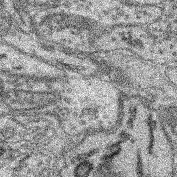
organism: Mouse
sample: Retina